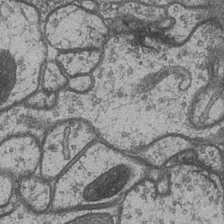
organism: Drosophila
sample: Optic medulla